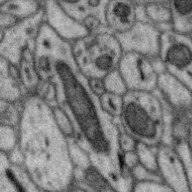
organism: Zebra finch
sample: Brain